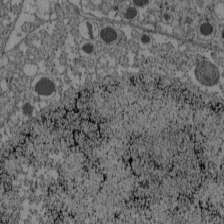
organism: C57BL Mouse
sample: Pancreatic islet